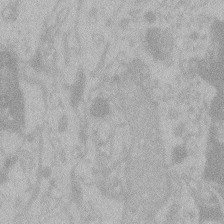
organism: Zebrafish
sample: Macrophage infected with Toxoplasma gondii